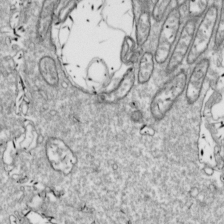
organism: Drosophila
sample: Cell division; meiosis; drosophila spermatocytes